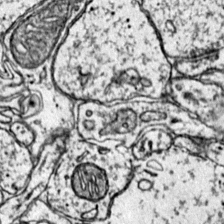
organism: Mouse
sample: Primary visual cortex